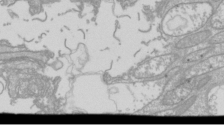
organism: Drosophila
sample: Cell division; meiosis; drosophila spermatocytes